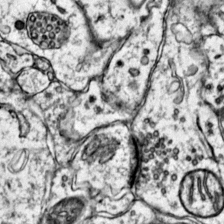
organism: Mouse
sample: Primary visual cortex